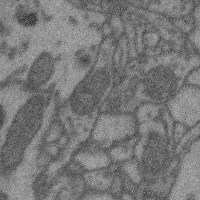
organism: Mouse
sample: Cerebral cortex